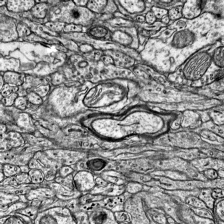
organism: Mouse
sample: Visual Cortex